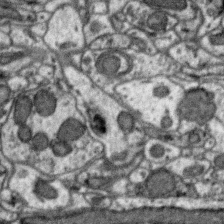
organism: Zebra finch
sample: Brain